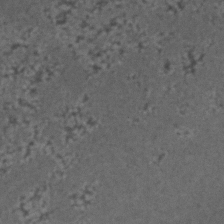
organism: C. elegans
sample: C. elegans embryo